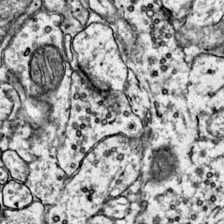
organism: Mouse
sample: Primary visual cortex